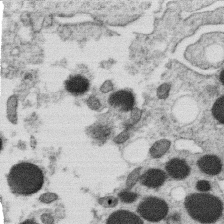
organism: C. elegans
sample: C. elegans oocyte; sperm cells